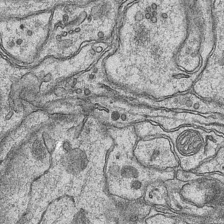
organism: Mouse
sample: CA1 Hippocampus